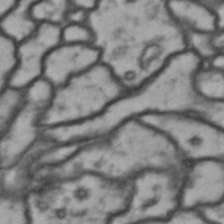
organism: Drosophila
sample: Brain